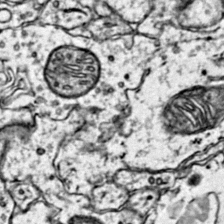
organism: Mouse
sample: Primary visual cortex